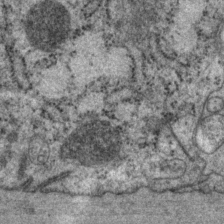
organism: P. pacificus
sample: Pharynx